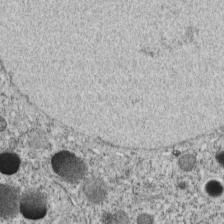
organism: C. elegans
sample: C. elegans embryo early stage